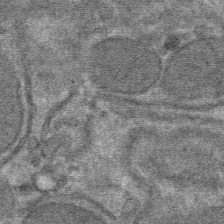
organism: Mouse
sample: Mouse hepatocytes